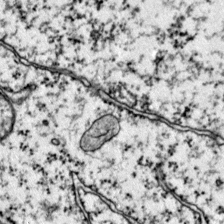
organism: Mouse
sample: Primary visual cortex